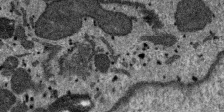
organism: Human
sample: Lung epithelial cells, uninfected (mock) control